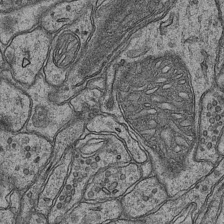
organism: Mouse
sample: CA1 Hippocampus